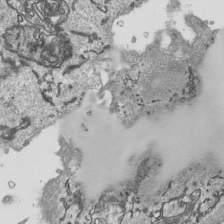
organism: Human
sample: Mitochondria in HCT116 cells